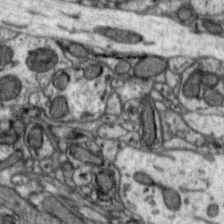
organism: Zebra finch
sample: Brain